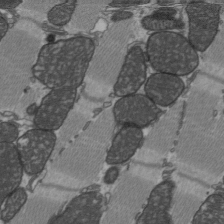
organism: C57BL Mouse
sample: Heart